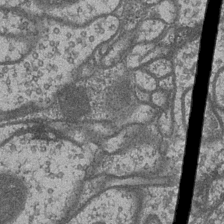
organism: Drosophila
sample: Optic medulla